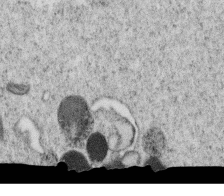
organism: C. elegans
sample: C. elegans oocyte; sperm cells